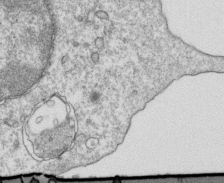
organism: Mouse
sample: Activated OT-1 CD8+ T cells